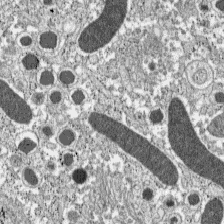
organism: C57BL Mouse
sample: Pancreatic islet